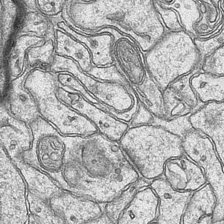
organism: Mouse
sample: CA1 Hippocampus